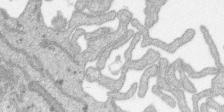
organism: Human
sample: Lung epithelial cells infected with SARS-CoV-2